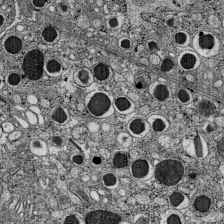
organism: C57BL Mouse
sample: Pancreatic islet